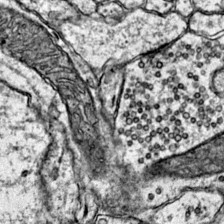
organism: Mouse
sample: Primary visual cortex